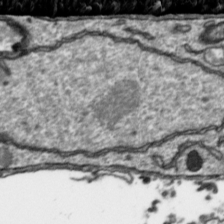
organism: Toxoplasma gondii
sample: Parasites in a vacuole inside a host cell